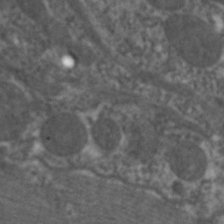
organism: C. elegans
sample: Pharynx